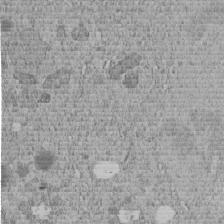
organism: C. elegans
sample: C. elegans embryo early stage